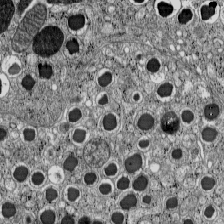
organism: C57BL Mouse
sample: Pancreatic islet